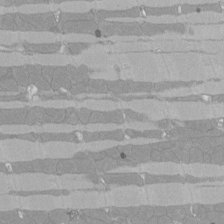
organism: Rat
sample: Left ventricle